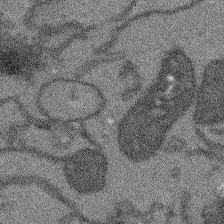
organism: Arabidopsis thaliana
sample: Root tip